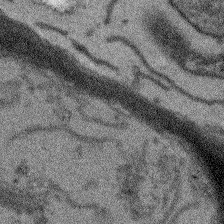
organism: Arabidopsis thaliana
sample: Root tip